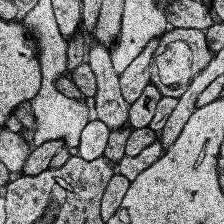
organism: Human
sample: Temporal Lobe